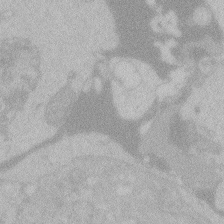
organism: Zebrafish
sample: Macrophage infected with Toxoplasma gondii